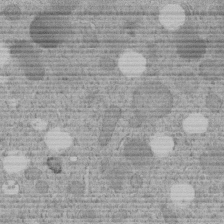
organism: C. elegans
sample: C. elegans embryo early stage